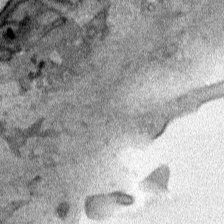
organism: Human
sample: Mitochondria in HCT116 cells